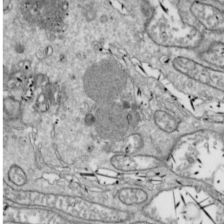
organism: Drosophila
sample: Cell division; meiosis; drosophila spermatocytes